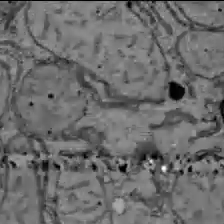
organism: C57BL Mouse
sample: Liver